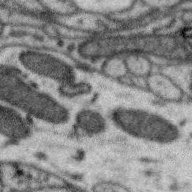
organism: Zebra finch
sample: Brain